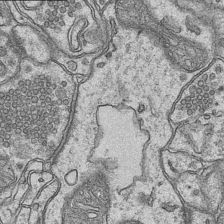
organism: Mouse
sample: CA1 Hippocampus